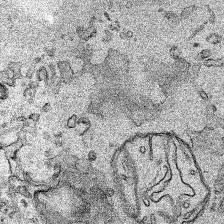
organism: Human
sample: Mitochondria in HCT116 cells